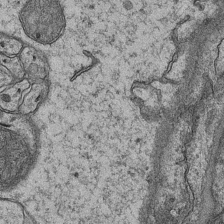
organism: Mouse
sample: CA1 Hippocampus